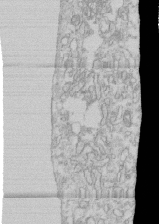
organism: Human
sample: CRL-1474